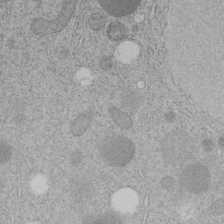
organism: C. elegans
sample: C. elegans embryo early stage